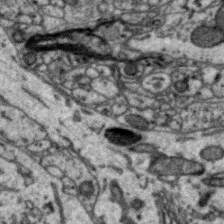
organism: Zebra finch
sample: Brain